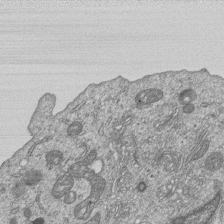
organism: Human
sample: MDA-MB-231 cells